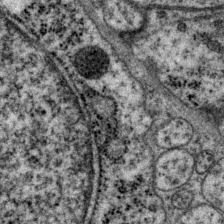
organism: P. pacificus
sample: Pharynx